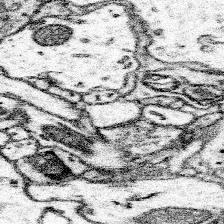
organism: Mouse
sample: Somatosensory cortex neuropil